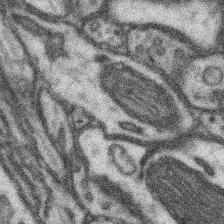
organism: Mouse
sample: Somatosensory cortex neuropil